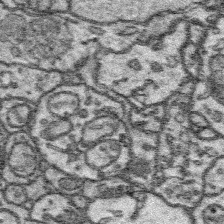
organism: Platynereis dumerilii